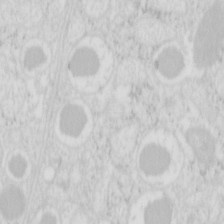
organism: Mouse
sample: Pancreas